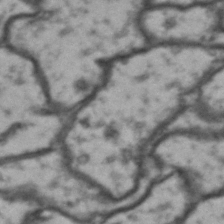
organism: Drosophila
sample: Brain